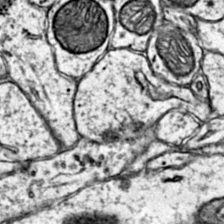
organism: Mouse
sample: Primary visual cortex